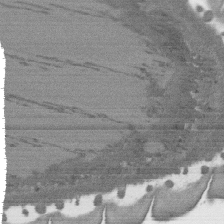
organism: C. elegans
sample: AFD neurons C. elegans